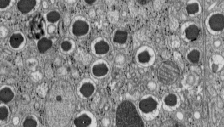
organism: C57BL Mouse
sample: Pancreatic islet